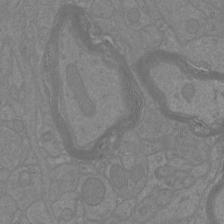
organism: Mouse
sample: Cortical neurons